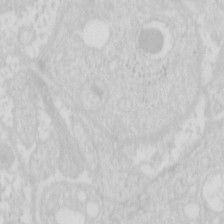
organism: Mouse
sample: Pancreas